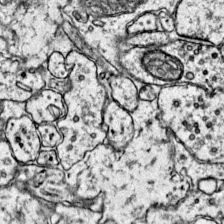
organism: Mouse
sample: Primary visual cortex